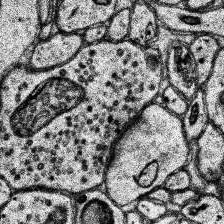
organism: Human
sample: Temporal Lobe